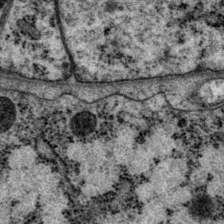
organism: P. pacificus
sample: Pharynx